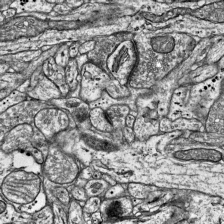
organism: Mouse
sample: Visual Cortex